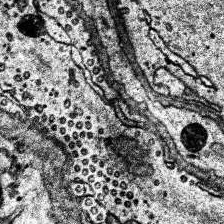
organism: Human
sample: Temporal Lobe